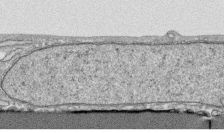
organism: Human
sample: CRL-1474